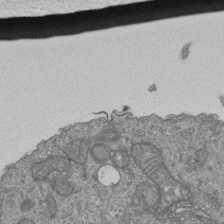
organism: Human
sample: Retinal organoid Rod and Cone cells